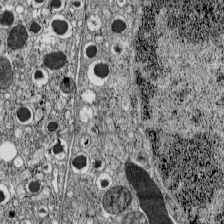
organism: C57BL Mouse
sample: Pancreatic islet